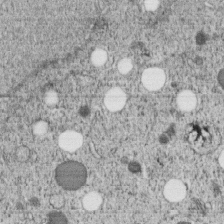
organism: C. elegans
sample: C. elegans embryo early stage